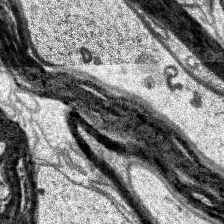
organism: Human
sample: Temporal Lobe